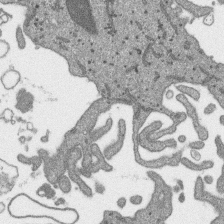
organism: Human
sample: Lung epithelial cells infected with SARS-CoV-2